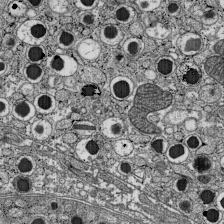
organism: C57BL Mouse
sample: Pancreatic islet